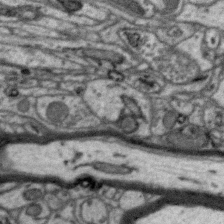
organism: Zebra finch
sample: Brain